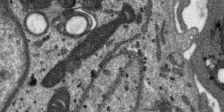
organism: Human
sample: Lung epithelial cells infected with SARS-CoV-2